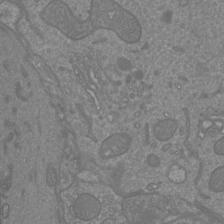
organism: Mouse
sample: Cortical neurons